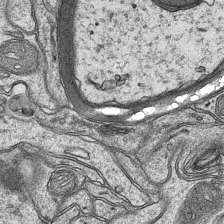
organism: Mouse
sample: CA1 Hippocampus